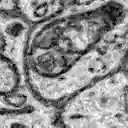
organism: Zebrafish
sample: Brain